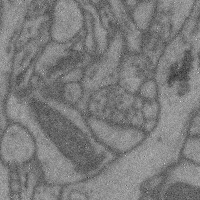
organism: Mouse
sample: Cerebral cortex